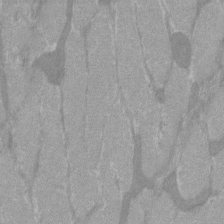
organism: C57BL Mouse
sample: Tibialis anterior muscle cell